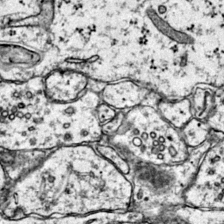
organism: Mouse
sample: Primary visual cortex